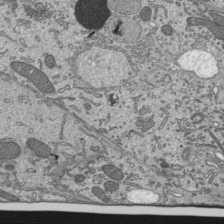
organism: Mouse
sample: Mouse epididymis efferent ductule cilia